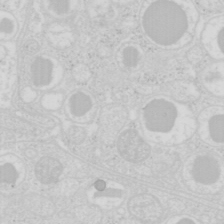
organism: Mouse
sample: Pancreas